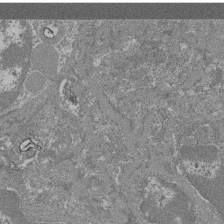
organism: Mouse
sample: Glomerulus